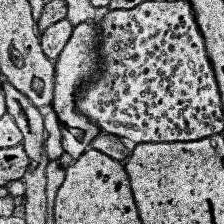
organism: Human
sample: Temporal Lobe